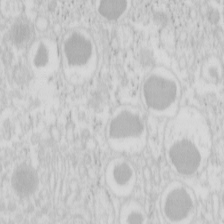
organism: Mouse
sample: Pancreas